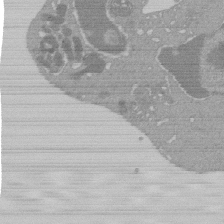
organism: Mouse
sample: Activated Pmel transgenic CD8+ T Cells